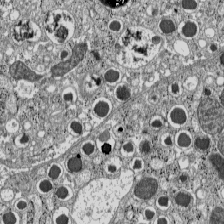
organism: C57BL Mouse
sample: Pancreatic islet